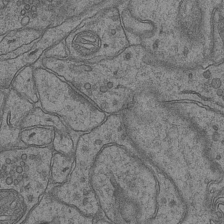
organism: Mouse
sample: CA1 Hippocampus